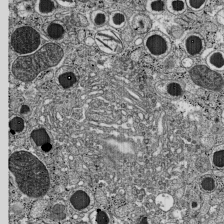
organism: C57BL Mouse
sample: Pancreatic islet